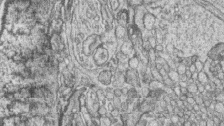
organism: Zebrafish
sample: synaptic ribbons in rod cells and cone cells